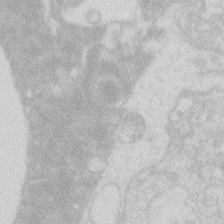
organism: Zebrafish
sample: Macrophage